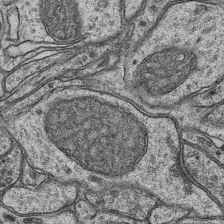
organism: Mouse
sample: CA1 Hippocampus